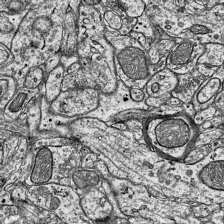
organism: Mouse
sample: Visual Cortex